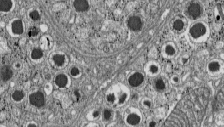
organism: C57BL Mouse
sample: Pancreatic islet